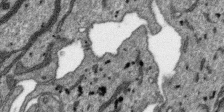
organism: Human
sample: Lung epithelial cells, uninfected (mock) control